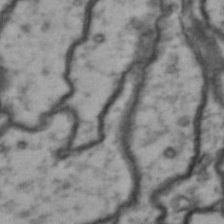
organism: Drosophila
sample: Brain